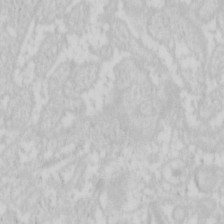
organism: Mouse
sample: Pancreas